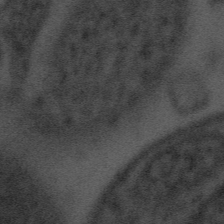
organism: Tuwongella immobilis